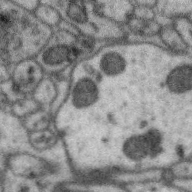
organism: Zebra finch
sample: Brain